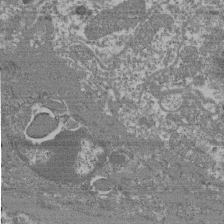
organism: Mouse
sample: Glomerulus